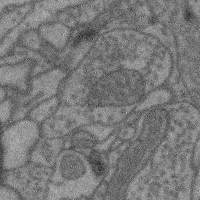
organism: Mouse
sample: Cerebral cortex